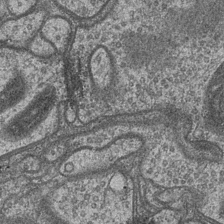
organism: Drosophila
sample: Optic medulla